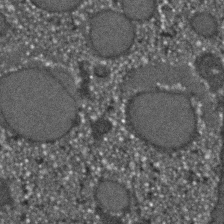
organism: C. elegans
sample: C. elegans embryo